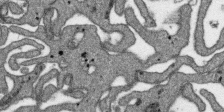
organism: Human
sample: Lung epithelial cells, uninfected (mock) control